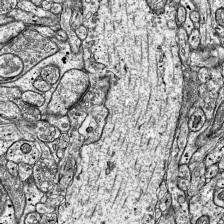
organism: Mouse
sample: Visual Cortex